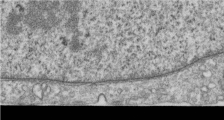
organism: Human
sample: Centriole in RPE cells